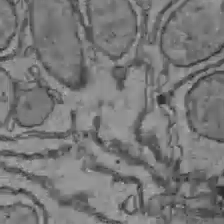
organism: C57BL Mouse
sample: Liver